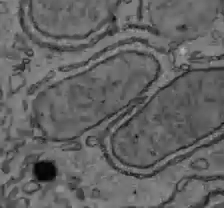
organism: C57BL Mouse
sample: Liver